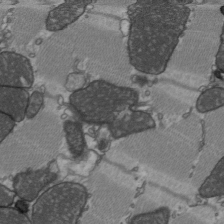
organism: C57BL Mouse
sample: Heart